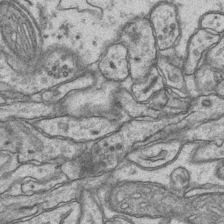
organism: Mouse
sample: CA1 Hippocampus